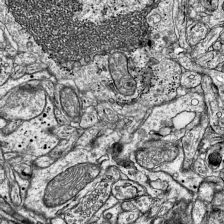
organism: Mouse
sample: Visual Cortex